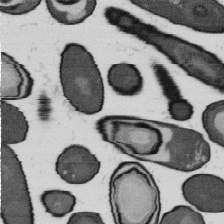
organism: B. subtilis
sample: Bacterial spore